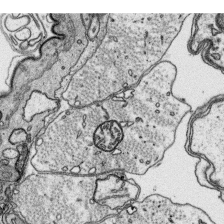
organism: Platynereis dumerilii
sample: Parapodia